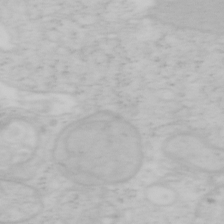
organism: Mouse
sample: OT-I killer T cells with ID8 ovarian cancer cells